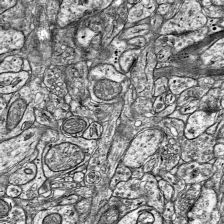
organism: Mouse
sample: Visual Cortex